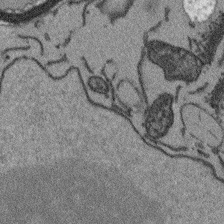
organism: Arabidopsis thaliana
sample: Root tip